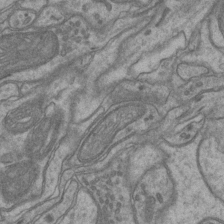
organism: Mouse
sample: CA1 Hippocampus